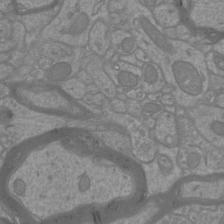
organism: Mouse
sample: Cortical neurons